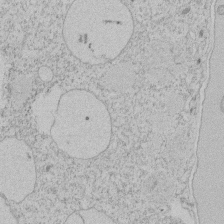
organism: Tetrahymena